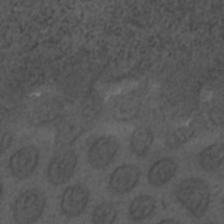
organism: C. elegans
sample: C. elegans embryo